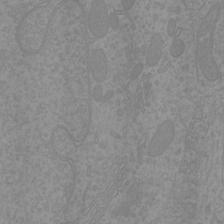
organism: Mouse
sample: Cortical neurons